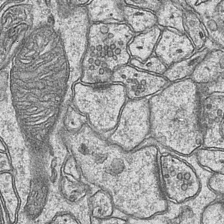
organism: Mouse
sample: CA1 Hippocampus